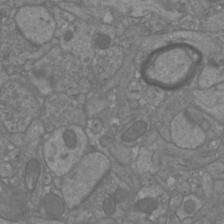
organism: Mouse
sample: Cortical neurons